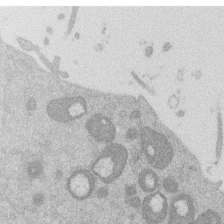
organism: Mouse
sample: Dividing mouse embryo 1 cell stage